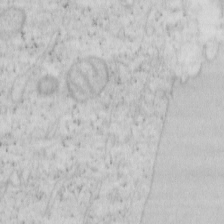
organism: Human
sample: HeLa cells